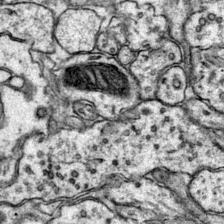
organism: Mouse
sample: Primary visual cortex